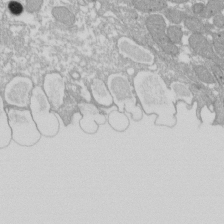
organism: Xenopus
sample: Cilia; centrioles in frog embryo cells